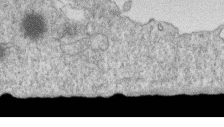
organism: Human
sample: HeLa cell HIV synapse